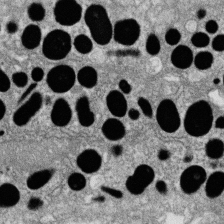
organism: Zebrafish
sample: Cilia; retinal pigment epithelium